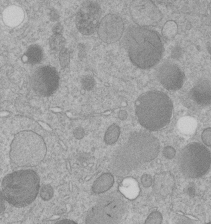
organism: C. elegans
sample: C. elegans embryo early stage